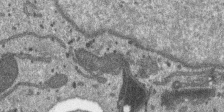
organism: Human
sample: Lung epithelial cells infected with SARS-CoV-2